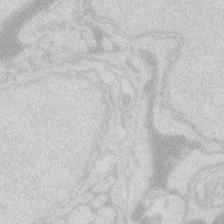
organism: Zebrafish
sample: Macrophage